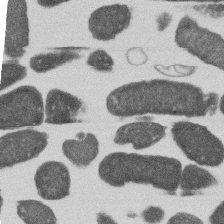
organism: E. coli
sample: Bacterial nucleoid